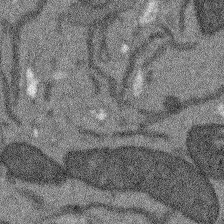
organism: Arabidopsis thaliana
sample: Root tip